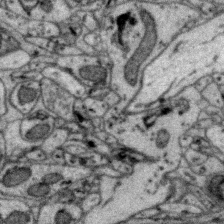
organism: Zebra finch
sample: Brain